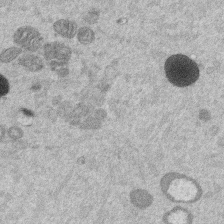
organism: Mouse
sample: Dividing mouse embryo 1 cell stage